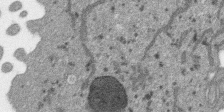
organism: Human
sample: Lung epithelial cells infected with SARS-CoV-2